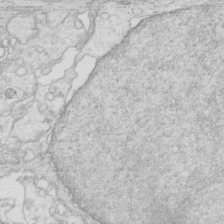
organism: Mouse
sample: Multiciliated cells